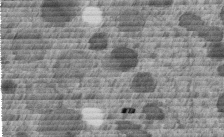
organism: C. elegans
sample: C. elegans embryo early stage